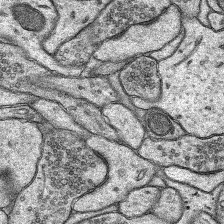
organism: Rat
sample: Hippocampus